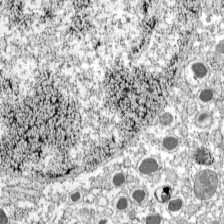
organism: C57BL Mouse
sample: Pancreatic islet